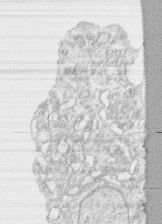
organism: Human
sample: CRL-1474